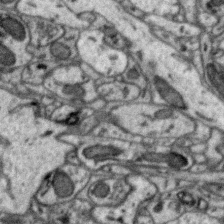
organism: Zebra finch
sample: Brain